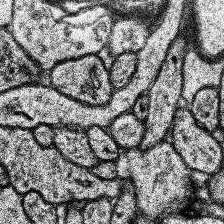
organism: Human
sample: Temporal Lobe